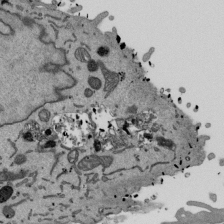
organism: Mouse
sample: ED-1 cell nuclei; centrioles